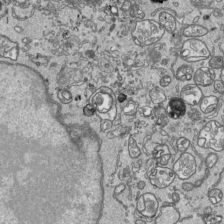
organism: Human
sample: Mitochondria in HCT116 cells